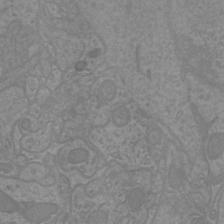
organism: Mouse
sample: Cortical neurons